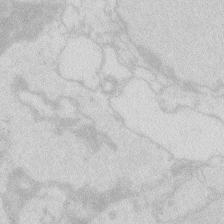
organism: Zebrafish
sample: Macrophage